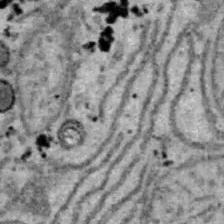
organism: Mouse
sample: Liver from an obese (ob/ob) mouse